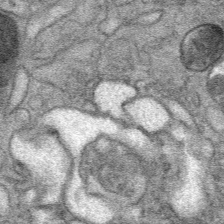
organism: Mouse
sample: Mouse Salivary gland